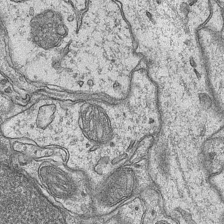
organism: Mouse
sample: CA1 Hippocampus